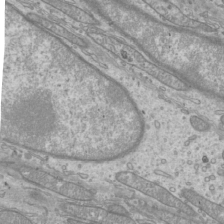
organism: Mouse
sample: Cilia; mouse epididymis